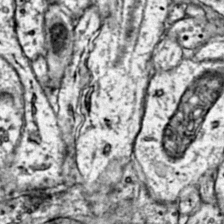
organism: Mouse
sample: Primary visual cortex